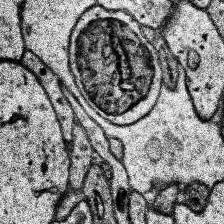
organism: Human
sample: Temporal Lobe